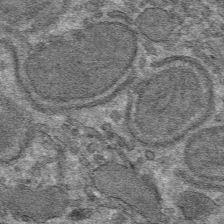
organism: Mouse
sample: Mouse hepatocytes